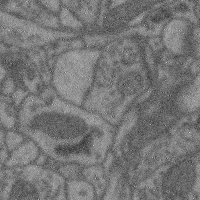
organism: Mouse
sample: Cerebral cortex